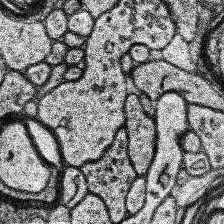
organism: Human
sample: Temporal Lobe